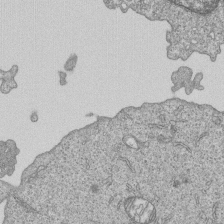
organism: Human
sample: MDA-MB-231 cells